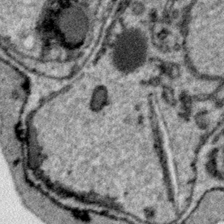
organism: Plasmodium falciparum